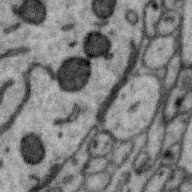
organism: Zebra finch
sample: Brain